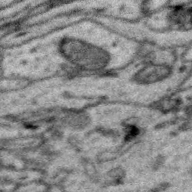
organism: Zebra finch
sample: Brain